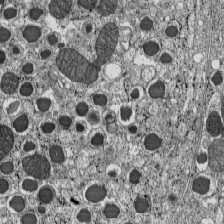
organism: C57BL Mouse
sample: Pancreatic islet